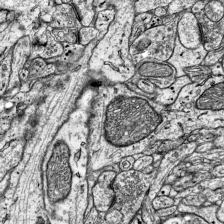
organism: Mouse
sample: Visual Cortex